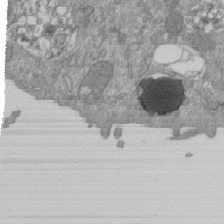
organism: Mouse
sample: ED-1 cell nuclei; centrioles